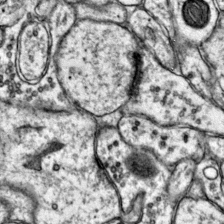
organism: Mouse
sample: Primary visual cortex